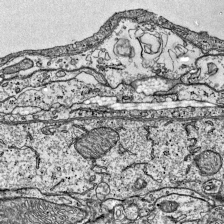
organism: Mouse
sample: Visual Cortex